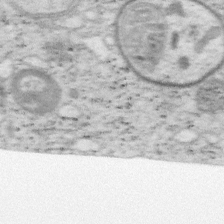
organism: Mouse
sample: OT-I killer T cells with ID8 ovarian cancer cells